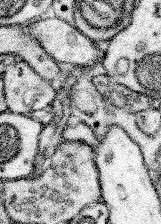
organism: Mouse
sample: Somatosensory cortex neuropil